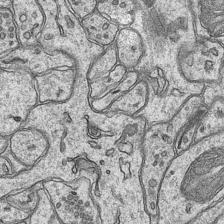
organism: Mouse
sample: CA1 Hippocampus